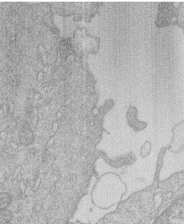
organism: Human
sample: Macrophage cells